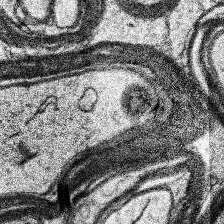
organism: Human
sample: Temporal Lobe